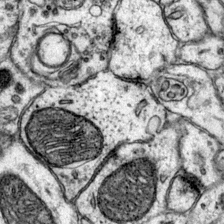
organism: Mouse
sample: Primary visual cortex